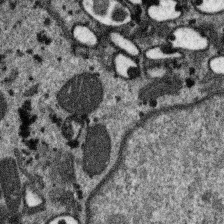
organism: Human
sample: Lung epithelial cells infected with SARS-CoV-2